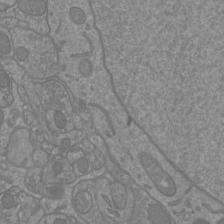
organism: Mouse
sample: Cortical neurons